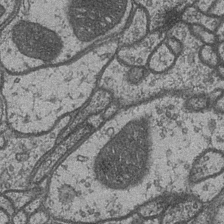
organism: Drosophila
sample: Optic medulla